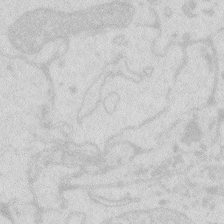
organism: Zebrafish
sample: Macrophage